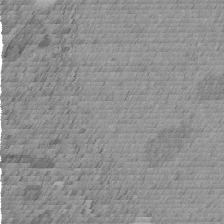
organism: C. elegans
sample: C. elegans embryo early stage